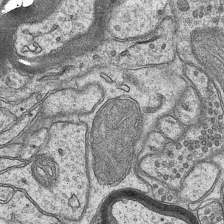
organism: Mouse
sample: CA1 Hippocampus